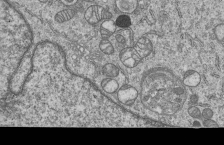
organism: Human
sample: MDA-MB-231 cells